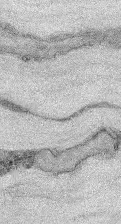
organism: Mouse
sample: Corneal nerves